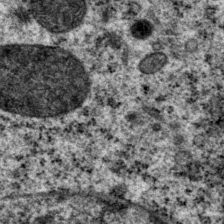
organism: P. pacificus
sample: Pharynx